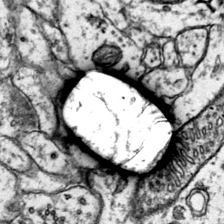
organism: Mouse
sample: Primary visual cortex